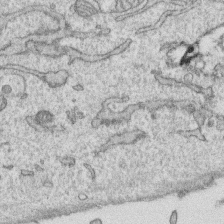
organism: Human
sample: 1205lu cells